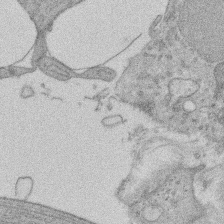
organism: Rat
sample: Salivary granule